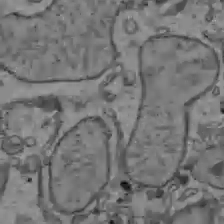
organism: C57BL Mouse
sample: Liver